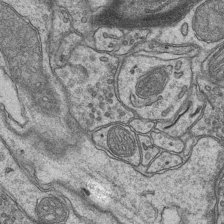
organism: Mouse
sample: CA1 Hippocampus